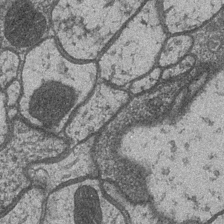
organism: Drosophila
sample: Optic medulla